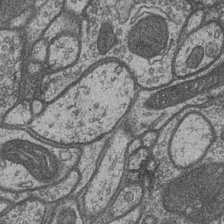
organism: Drosophila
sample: Optic medulla